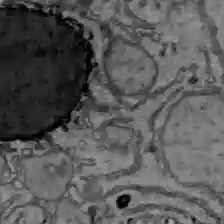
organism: C57BL Mouse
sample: Liver